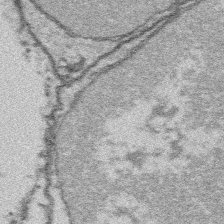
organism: Platynereis dumerilii